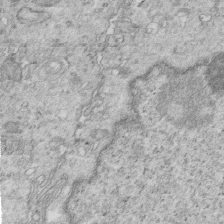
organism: Mouse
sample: Multiciliated cells